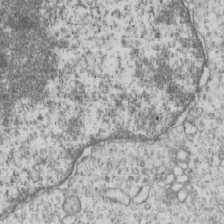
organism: Human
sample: MDA-MB-231 cells